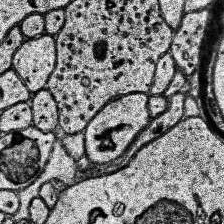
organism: Human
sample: Temporal Lobe